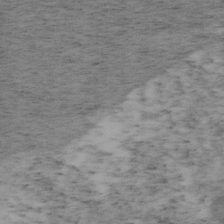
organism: Mouse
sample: OT-I killer T cells with ID8 ovarian cancer cells